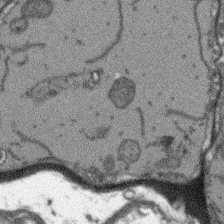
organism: Arabidopsis thaliana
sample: Root tip